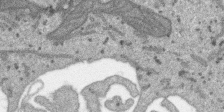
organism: Human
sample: Lung epithelial cells infected with SARS-CoV-2